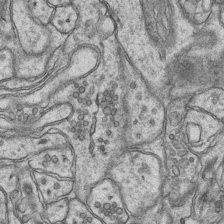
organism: Mouse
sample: CA1 Hippocampus